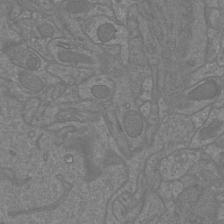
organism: Mouse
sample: Cortical neurons